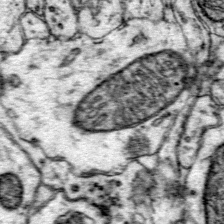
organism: Mouse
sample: Primary visual cortex